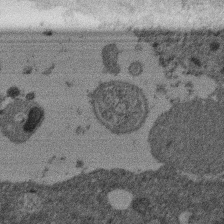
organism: Mouse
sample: Dividing mouse embryo 1 cell stage